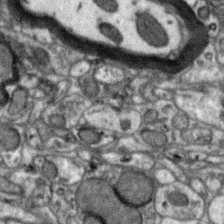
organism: Zebra finch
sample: Brain